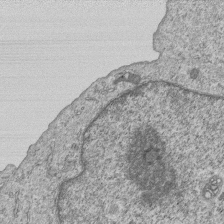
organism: Human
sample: MDA-MB-231 cells